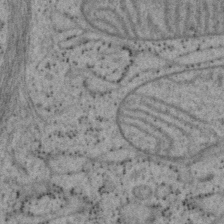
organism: Human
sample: HeLa cells